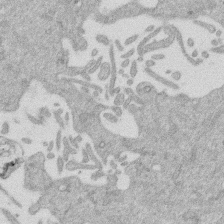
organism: Mouse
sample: Dividing mouse embryo 1 cell stage